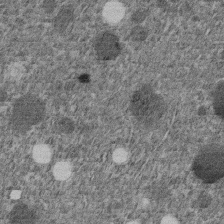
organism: C. elegans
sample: C. elegans embryo early stage